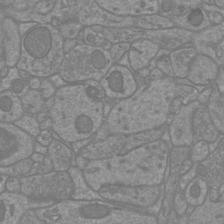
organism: Mouse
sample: Cortical neurons